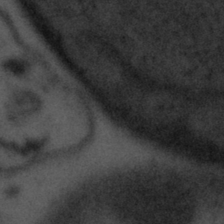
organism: Tuwongella immobilis